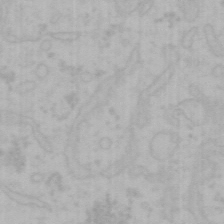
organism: Mouse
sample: Choroid plexus